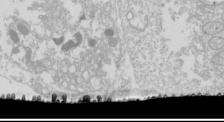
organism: Drosophila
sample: Cell division; meiosis; drosophila spermatocytes